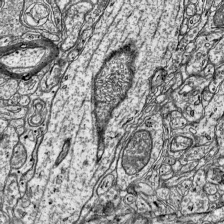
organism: Mouse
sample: Visual Cortex